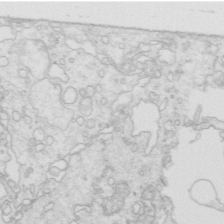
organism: Mouse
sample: Multiciliated cells